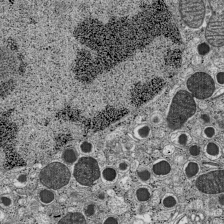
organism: C57BL Mouse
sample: Pancreatic islet